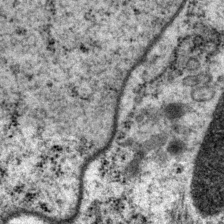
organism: P. pacificus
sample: Pharynx